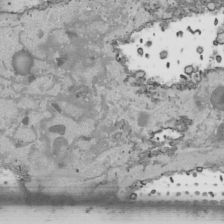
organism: Human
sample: Mitochondria in HCT116 cells